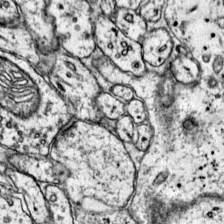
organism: Mouse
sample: Primary visual cortex